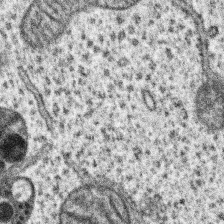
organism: Human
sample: HeLa cells